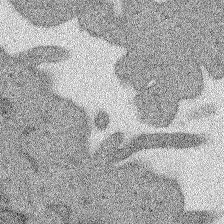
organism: Human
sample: HeLa cells